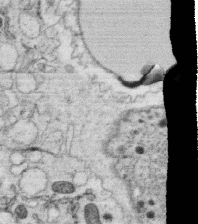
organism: C. elegans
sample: C. elegans oocyte; sperm cells